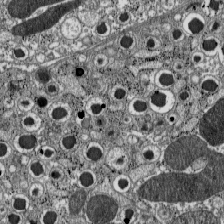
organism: C57BL Mouse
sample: Pancreatic islet